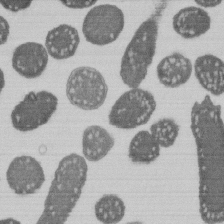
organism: E. coli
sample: Bacterial nucleoid